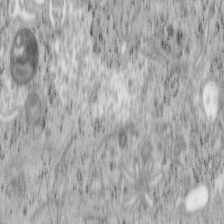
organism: Human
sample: HeLa cells